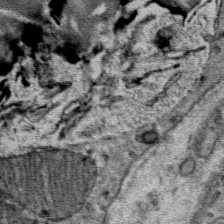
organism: Mouse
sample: Mouse Salivary gland